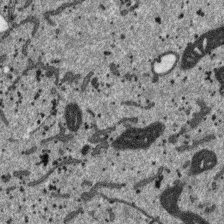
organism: Human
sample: Lung epithelial cells infected with SARS-CoV-2